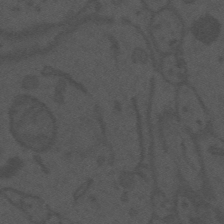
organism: Mouse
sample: Suprachiasmatic nucleus